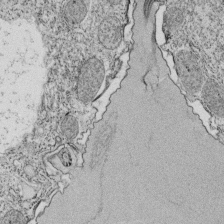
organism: Tetrahymena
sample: Cilia in tetrahymena